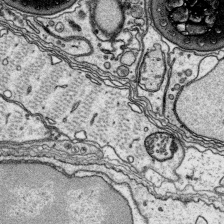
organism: Platynereis dumerilii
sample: Parapodia